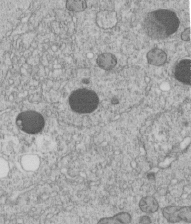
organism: C. elegans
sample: C. elegans embryo early stage